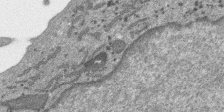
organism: Human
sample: Lung epithelial cells infected with SARS-CoV-2